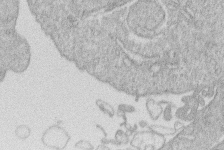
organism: Human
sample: Macrophage cells